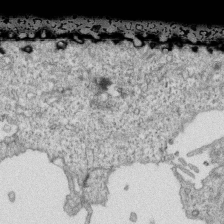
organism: Human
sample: HeLa cell HIV synapse